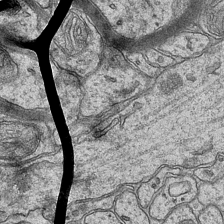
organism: Mouse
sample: CA1 Hippocampus